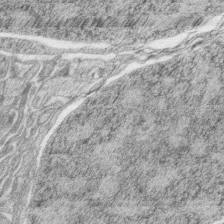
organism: Zebrafish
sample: synaptic ribbons in rod cells and cone cells